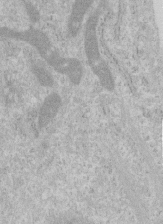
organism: Human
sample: Centriole in RPE cells